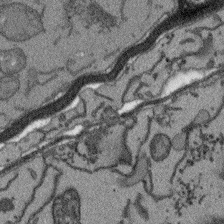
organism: Arabidopsis thaliana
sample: Root tip